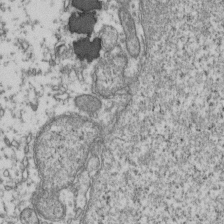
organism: Human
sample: Activated Jurkat CD4+ T cells